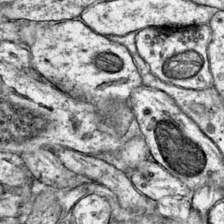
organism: Mouse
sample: Primary visual cortex